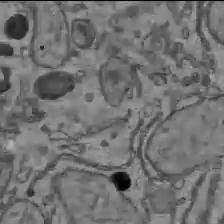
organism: C57BL Mouse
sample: Liver